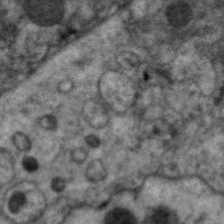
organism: C. elegans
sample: Pharynx